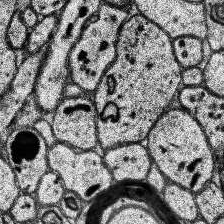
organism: Human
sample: Temporal Lobe